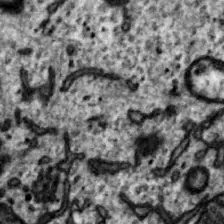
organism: Human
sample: HeLa cells